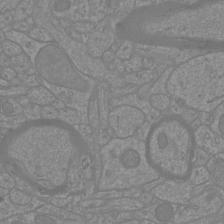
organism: Mouse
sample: Cortical neurons